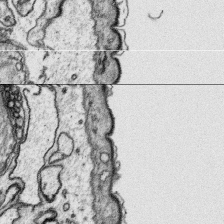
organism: Platynereis dumerilii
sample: Parapodia